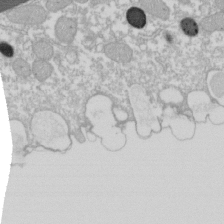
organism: Xenopus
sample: Cilia; centrioles in frog embryo cells